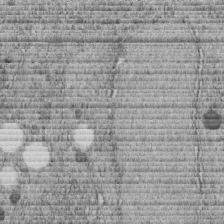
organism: C. elegans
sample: C. elegans embryo early stage